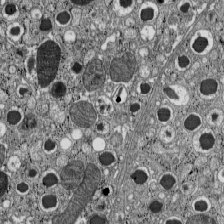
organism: C57BL Mouse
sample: Pancreatic islet